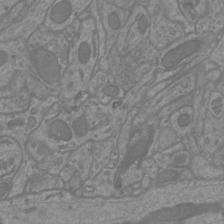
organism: Mouse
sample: Cortical neurons